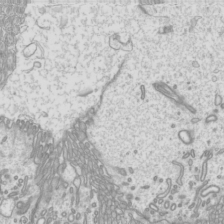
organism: Mouse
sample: Cilia; mouse epididymis